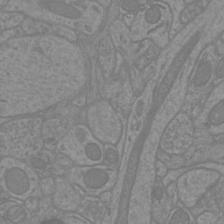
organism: Mouse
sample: Cortical neurons